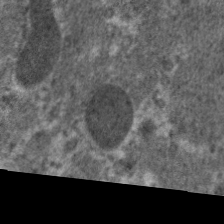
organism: C. elegans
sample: Pharynx